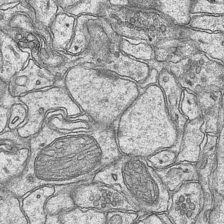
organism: Mouse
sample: CA1 Hippocampus